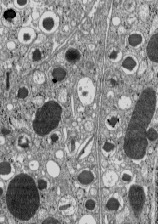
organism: C57BL Mouse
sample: Pancreatic islet